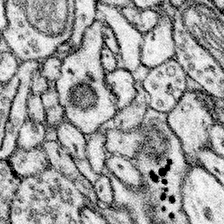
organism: Mouse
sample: Somatosensory cortex neuropil